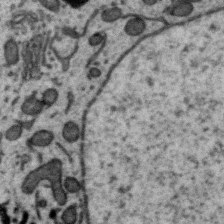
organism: Zebra finch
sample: Brain